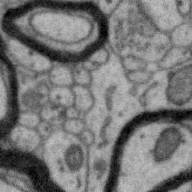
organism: Zebra finch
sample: Brain